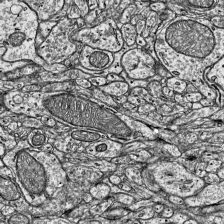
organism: Mouse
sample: Visual Cortex